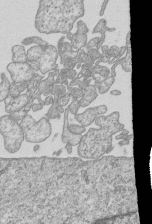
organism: Human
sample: MDA-MB-231 cells